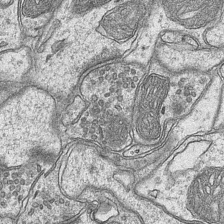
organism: Mouse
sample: CA1 Hippocampus